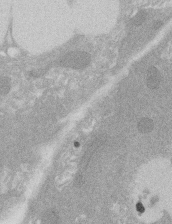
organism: Rat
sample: Salivary granule